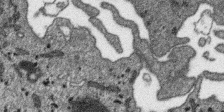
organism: Human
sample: Lung epithelial cells infected with SARS-CoV-2